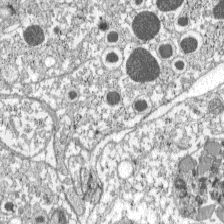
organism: C57BL Mouse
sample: Pancreatic islet